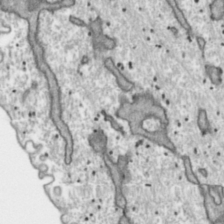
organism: Toxoplasma gondii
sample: Parasites in a vacuole inside a host cell